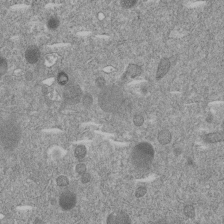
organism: C. elegans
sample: C. elegans embryo early stage